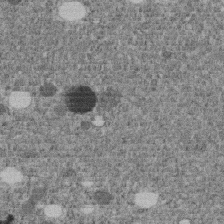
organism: C. elegans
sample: C. elegans embryo early stage